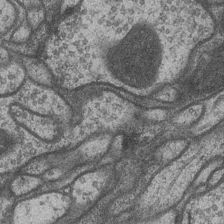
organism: Drosophila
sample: Optic medulla